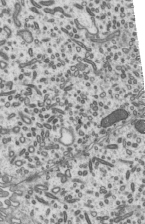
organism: Mouse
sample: Mouse epididymis efferent ductule cilia